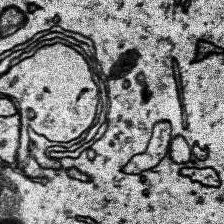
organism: Human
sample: Temporal Lobe